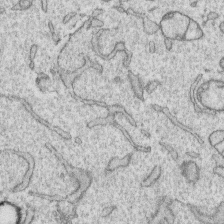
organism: Human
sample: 1205lu cells